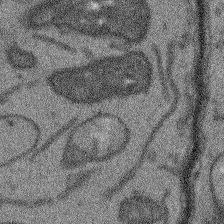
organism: Arabidopsis thaliana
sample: Root tip